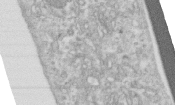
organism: Human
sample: Centriole in RPE cells